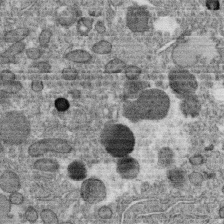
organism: C. elegans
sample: C. elegans oocyte; sperm cells